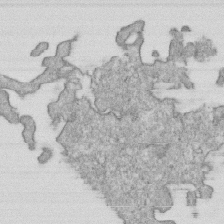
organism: Mouse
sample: Activated OT-1 CD8+ T cells